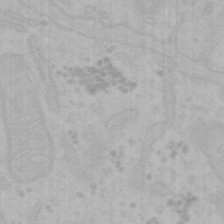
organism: Mouse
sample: Choroid plexus